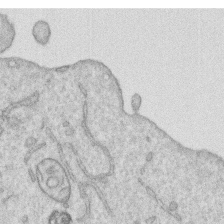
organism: Human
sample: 1205lu cells